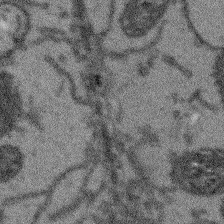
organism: Arabidopsis thaliana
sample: Root tip